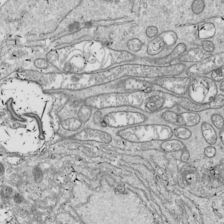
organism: Drosophila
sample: Cell division; meiosis; drosophila spermatocytes